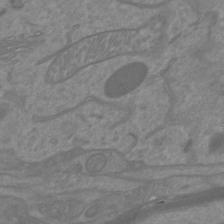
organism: Mouse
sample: Cortical neurons